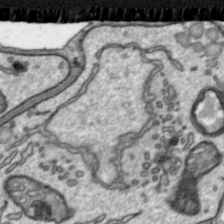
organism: Toxoplasma gondii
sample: Parasites in a vacuole inside a host cell